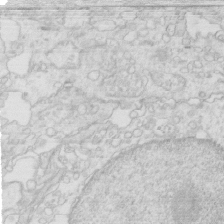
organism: Mouse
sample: Multiciliated cells